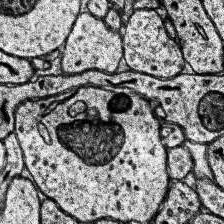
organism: Human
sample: Temporal Lobe